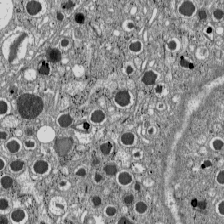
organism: C57BL Mouse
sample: Pancreatic islet